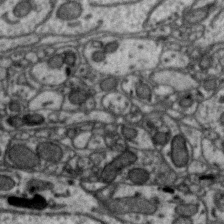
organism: Zebra finch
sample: Brain